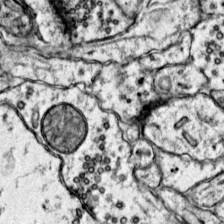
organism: Mouse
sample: Primary visual cortex